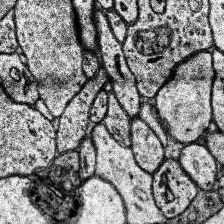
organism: Human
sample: Temporal Lobe